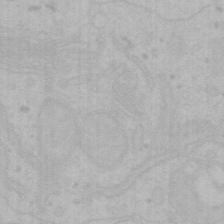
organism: Mouse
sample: Choroid plexus